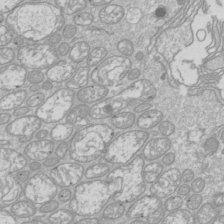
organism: Drosophila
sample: Cell division; meiosis; drosophila spermatocytes